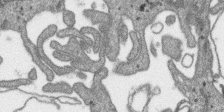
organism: Human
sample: Lung epithelial cells infected with SARS-CoV-2